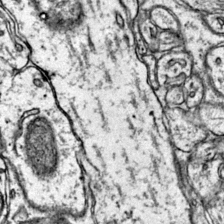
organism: Mouse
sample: Primary visual cortex